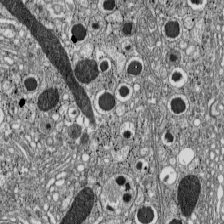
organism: C57BL Mouse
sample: Pancreatic islet